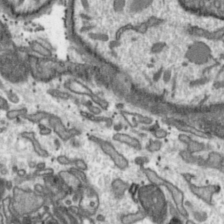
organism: Toxoplasma gondii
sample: Parasites in a vacuole inside a host cell